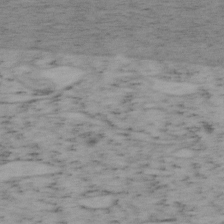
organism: Mouse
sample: OT-I killer T cells with ID8 ovarian cancer cells